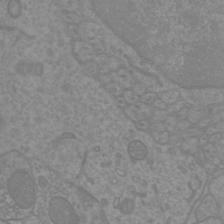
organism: Mouse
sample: Cortical neurons